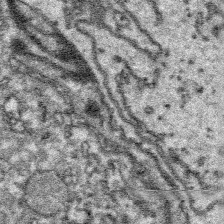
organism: Platynereis dumerilii